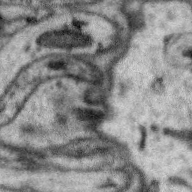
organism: Zebra finch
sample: Brain